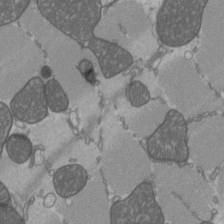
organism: C57BL Mouse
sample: Heart